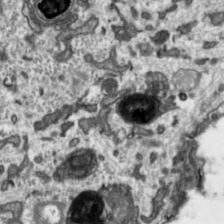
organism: Toxoplasma gondii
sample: Parasites in a vacuole inside a host cell